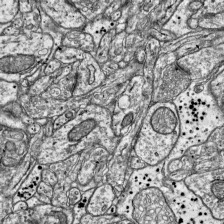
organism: Mouse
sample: Visual Cortex